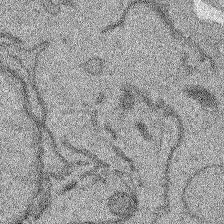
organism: Human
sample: HeLa cells